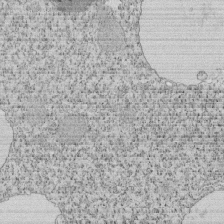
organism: Tetrahymena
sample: Cilia in tetrahymena